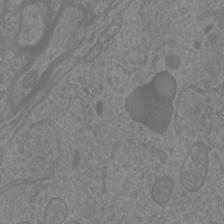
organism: Mouse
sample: Cortical neurons